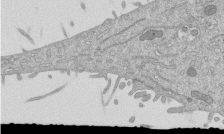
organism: Mouse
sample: ED-1 cell nuclei; centrioles